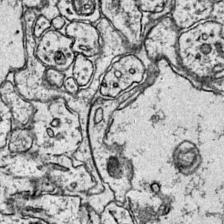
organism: Mouse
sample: Primary visual cortex